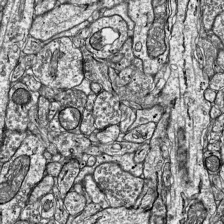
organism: Mouse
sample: Visual Cortex